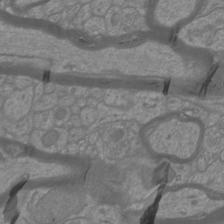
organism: Mouse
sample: Cortical neurons